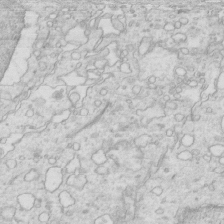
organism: Mouse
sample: Multiciliated cells